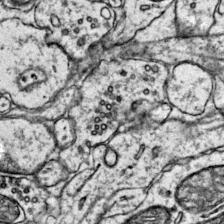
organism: Mouse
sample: Primary visual cortex